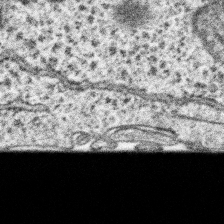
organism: Human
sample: HeLa cells